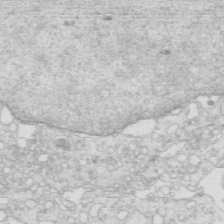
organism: Mouse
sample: Multiciliated cells